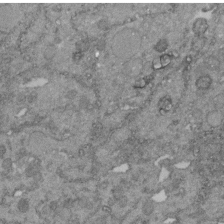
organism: C. elegans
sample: C. elegans embryo early stage